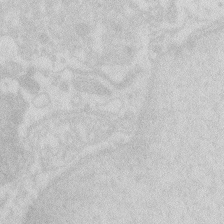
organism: Zebrafish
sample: Macrophage